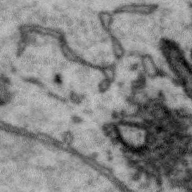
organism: Zebra finch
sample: Brain